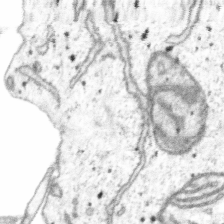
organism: Human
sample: HeLa cells